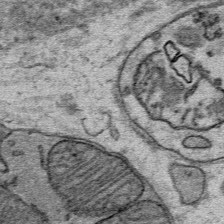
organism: Mouse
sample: Mouse Salivary gland